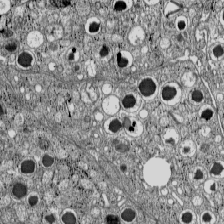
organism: C57BL Mouse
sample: Pancreatic islet